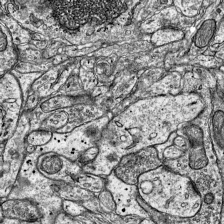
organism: Mouse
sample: Visual Cortex